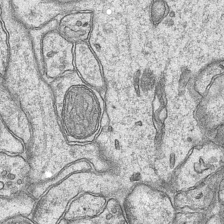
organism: Mouse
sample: CA1 Hippocampus